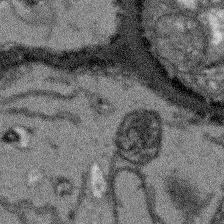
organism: Arabidopsis thaliana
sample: Root tip